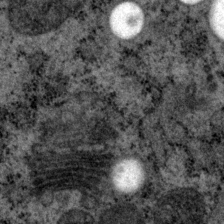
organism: P. pacificus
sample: Pharynx